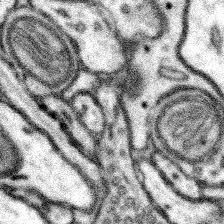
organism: Mouse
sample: Somatosensory cortex neuropil